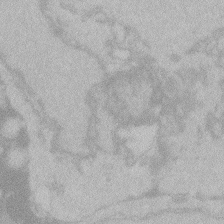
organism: Zebrafish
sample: Macrophage infected with Toxoplasma gondii